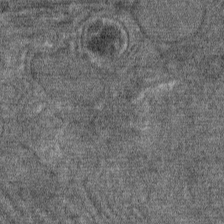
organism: Mouse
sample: Mouse Salivary gland